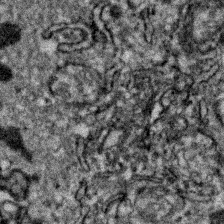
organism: Zebrafish